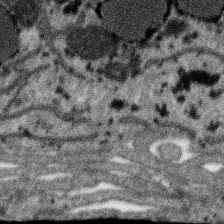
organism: Human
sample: Lung epithelial cells infected with SARS-CoV-2